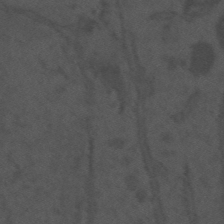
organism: Mouse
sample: Suprachiasmatic nucleus